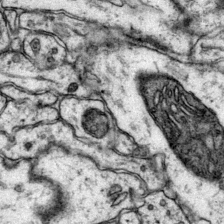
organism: Mouse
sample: Primary visual cortex